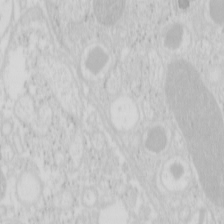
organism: Mouse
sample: Pancreas